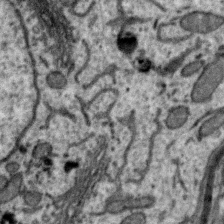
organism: Zebra finch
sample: Brain